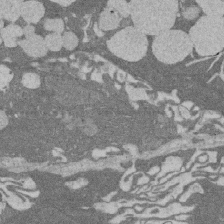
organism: Rat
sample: Salivary granule